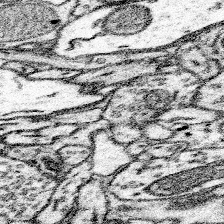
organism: Mouse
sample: Somatosensory cortex neuropil